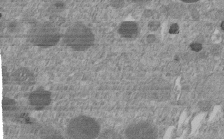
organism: C. elegans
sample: C. elegans embryo early stage